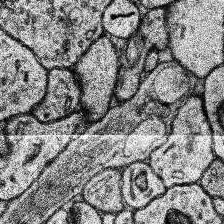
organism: Human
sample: Temporal Lobe